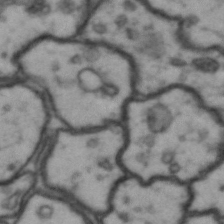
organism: Drosophila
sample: Brain